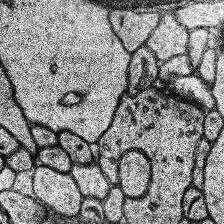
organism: Human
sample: Temporal Lobe